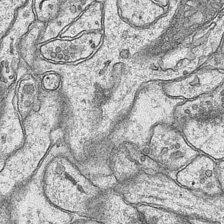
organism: Mouse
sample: CA1 Hippocampus